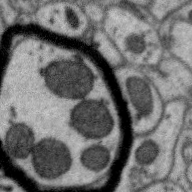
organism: Zebra finch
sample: Brain